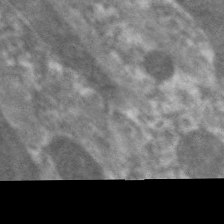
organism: C. elegans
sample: Pharynx